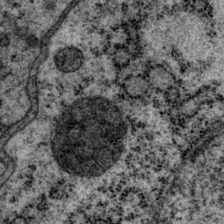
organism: P. pacificus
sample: Pharynx